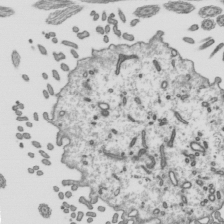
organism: Mouse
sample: Mouse epididymis efferent ductule cilia